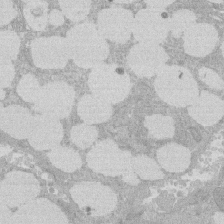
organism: Rat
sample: Salivary granule